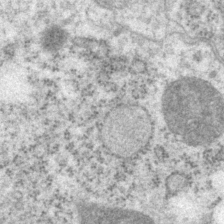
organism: P. pacificus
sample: Pharynx